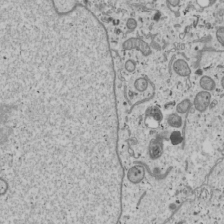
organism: Human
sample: Mitochondria in U2OS cells